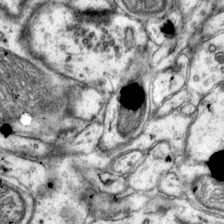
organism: Mouse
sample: Primary visual cortex